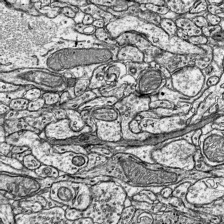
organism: Mouse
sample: Visual Cortex